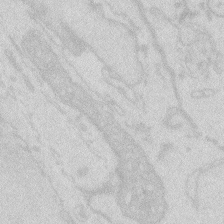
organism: Zebrafish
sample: Macrophage